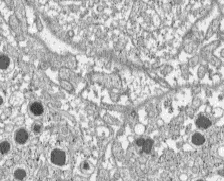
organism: C57BL Mouse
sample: Pancreatic islet